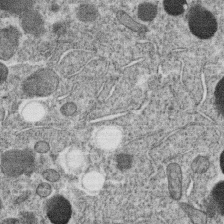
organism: C. elegans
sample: C. elegans oocyte; sperm cells